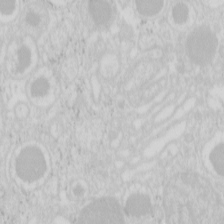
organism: Mouse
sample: Pancreas